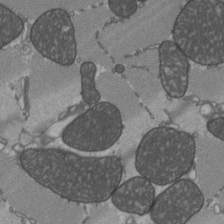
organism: C57BL Mouse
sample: Heart